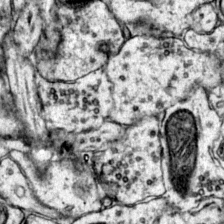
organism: Mouse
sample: Primary visual cortex